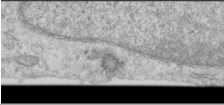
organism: Human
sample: Cilia; basal body in RPE cells